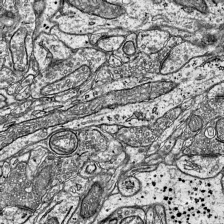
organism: Mouse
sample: Visual Cortex